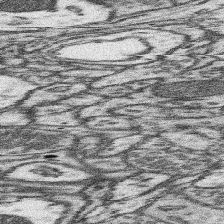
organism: Mouse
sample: Somatosensory cortex neuropil